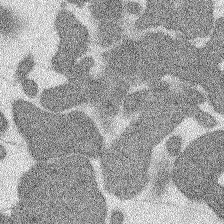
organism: Human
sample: HeLa cells